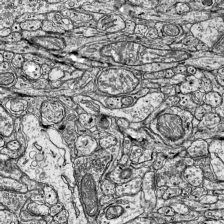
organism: Mouse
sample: Visual Cortex